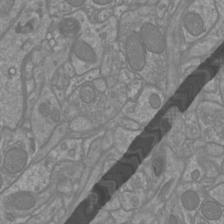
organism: Mouse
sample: Cortical neurons